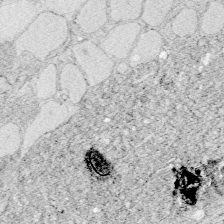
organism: Zebrafish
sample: Whole-Brain